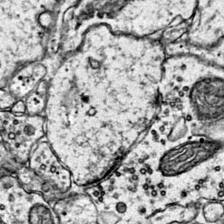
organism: Mouse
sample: Primary visual cortex